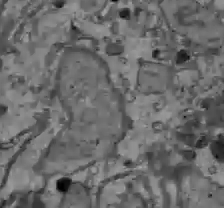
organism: C57BL Mouse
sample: Liver